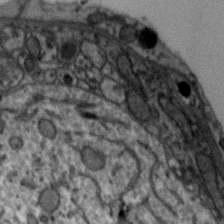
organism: Zebra finch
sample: Brain